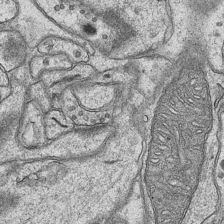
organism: Mouse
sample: CA1 Hippocampus